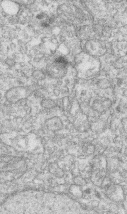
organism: Human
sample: HeLa cell HIV synapse